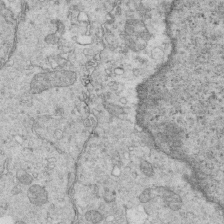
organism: Mouse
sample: Multiciliated cells